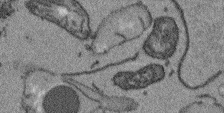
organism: Arabidopsis thaliana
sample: Root tip